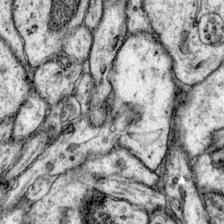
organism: Mouse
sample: Primary visual cortex